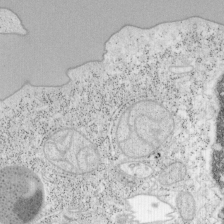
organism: Mouse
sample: OT-I killer T cells with ID8 ovarian cancer cells